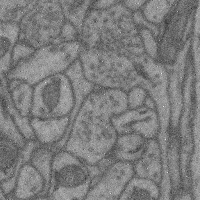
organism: Mouse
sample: Cerebral cortex